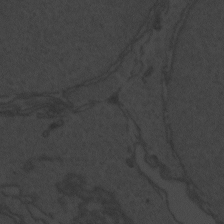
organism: Zebrafish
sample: Macrophage infected with Toxoplasma gondii